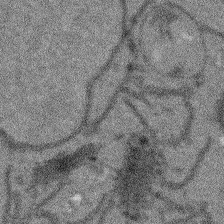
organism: Arabidopsis thaliana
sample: Root tip